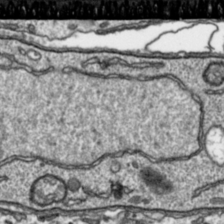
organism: Toxoplasma gondii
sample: Parasites in a vacuole inside a host cell